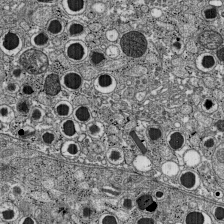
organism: C57BL Mouse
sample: Pancreatic islet